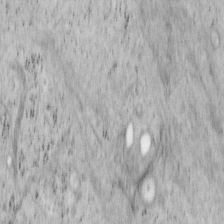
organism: Human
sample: HeLa cells